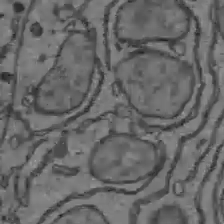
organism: C57BL Mouse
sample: Liver